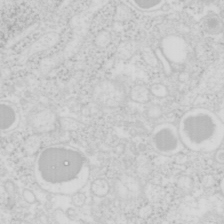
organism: Mouse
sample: Pancreas